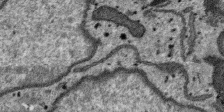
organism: Human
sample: Lung epithelial cells, uninfected (mock) control